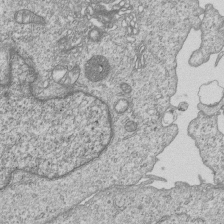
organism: Human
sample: MDA-MB-231 cells